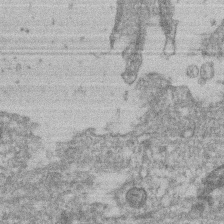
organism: Mouse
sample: T cell stromal cell synapse